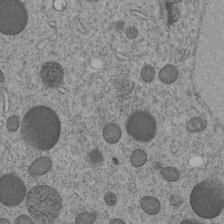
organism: C. elegans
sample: C. elegans embryo early stage